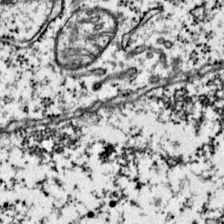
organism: Mouse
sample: Primary visual cortex